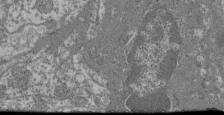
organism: Mouse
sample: Glomerulus